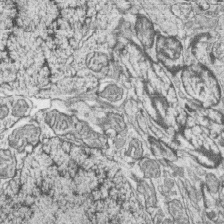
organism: Zebrafish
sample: synaptic ribbons in rod cells and cone cells